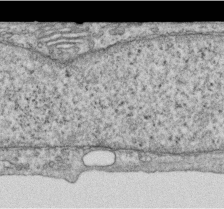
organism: Human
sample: Centriole in RPE cells